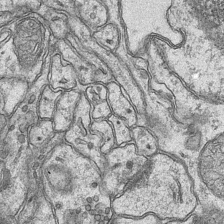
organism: Mouse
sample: CA1 Hippocampus